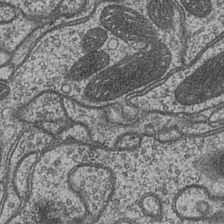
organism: Drosophila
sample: Optic medulla